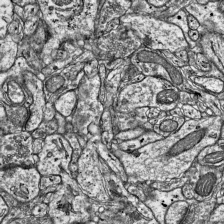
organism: Mouse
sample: Visual Cortex